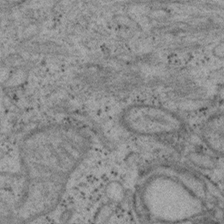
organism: Human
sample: HeLa cells